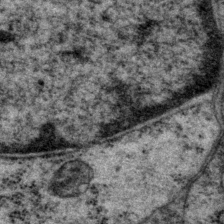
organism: P. pacificus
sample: Pharynx